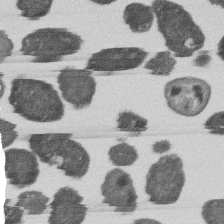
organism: E. coli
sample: Bacterial nucleoid